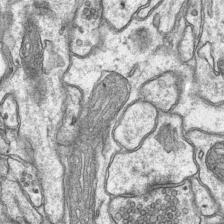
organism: Mouse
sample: CA1 Hippocampus